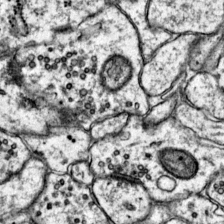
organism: Mouse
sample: Primary visual cortex